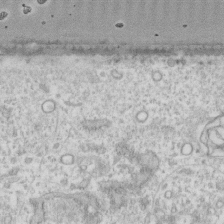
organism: Human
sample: Fibroblast cells